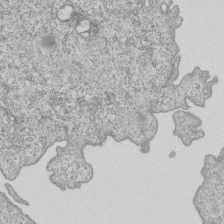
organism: Human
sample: MDA-MB-231 cells